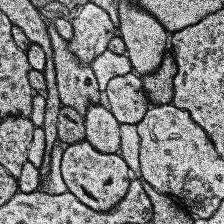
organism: Human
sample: Temporal Lobe